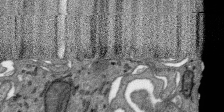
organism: Human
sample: Lung epithelial cells, uninfected (mock) control